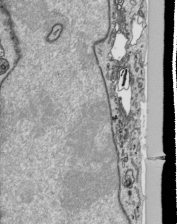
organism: Human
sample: Mitochondria in HCT116 cells